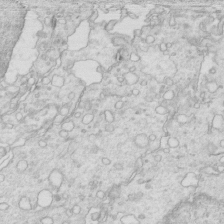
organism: Mouse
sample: Multiciliated cells